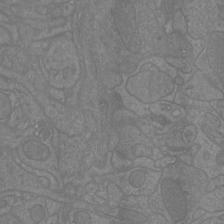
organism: Mouse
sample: Cortical neurons